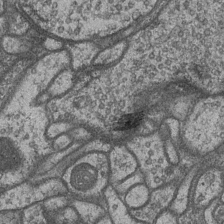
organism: Drosophila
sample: Optic medulla